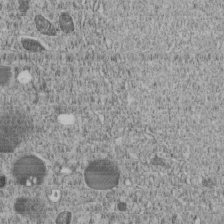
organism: C. elegans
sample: C. elegans embryo early stage